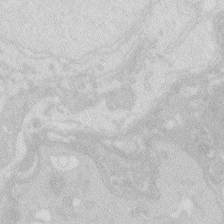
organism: Zebrafish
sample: Macrophage